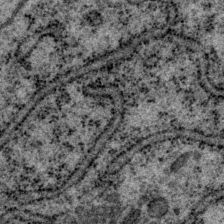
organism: P. pacificus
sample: Pharynx